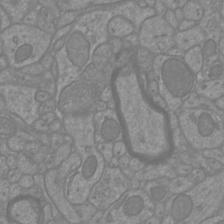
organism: Mouse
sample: Cortical neurons